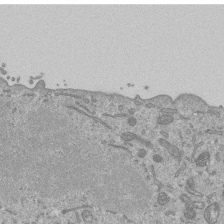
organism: Mouse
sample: ED-1 cell nuclei; centrioles